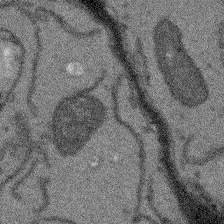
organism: Arabidopsis thaliana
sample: Root tip